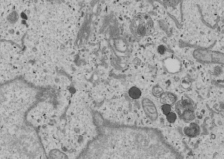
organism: Human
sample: Mitochondria in U2OS cells